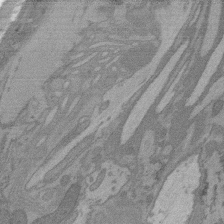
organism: C. elegans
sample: AFD neurons C. elegans